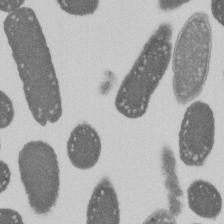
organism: E. coli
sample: Bacterial nucleoid